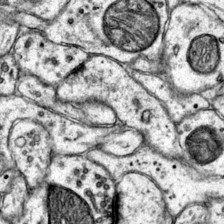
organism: Mouse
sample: Primary visual cortex